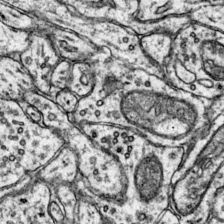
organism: Mouse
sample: Primary visual cortex